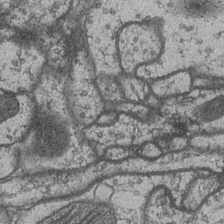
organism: Drosophila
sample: Optic medulla